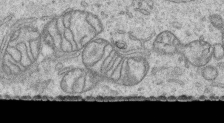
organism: Human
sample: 1205lu cells